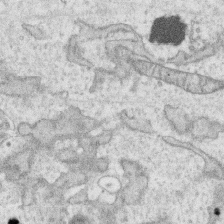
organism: Human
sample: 1205lu cells